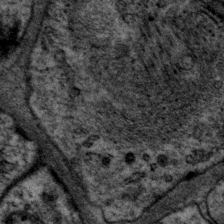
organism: P. pacificus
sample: Pharynx